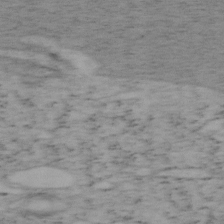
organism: Mouse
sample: OT-I killer T cells with ID8 ovarian cancer cells